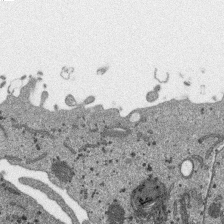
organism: Human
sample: Lung epithelial cells infected with SARS-CoV-2